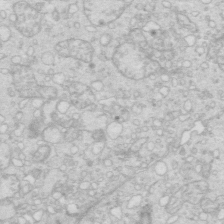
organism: Mouse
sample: Multiciliated cells